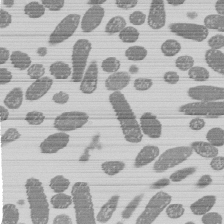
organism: E. coli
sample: Bacterial nucleoid